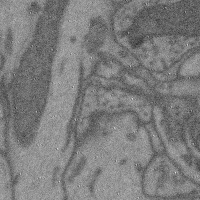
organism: Mouse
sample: Cerebral cortex